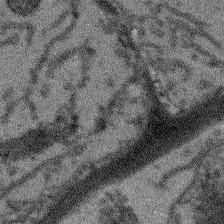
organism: Arabidopsis thaliana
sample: Root tip